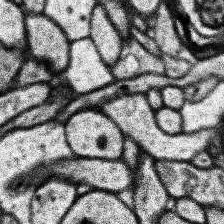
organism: Human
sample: Temporal Lobe